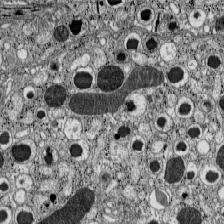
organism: C57BL Mouse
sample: Pancreatic islet